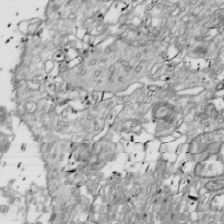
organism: Drosophila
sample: Cell division; meiosis; drosophila spermatocytes